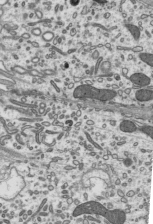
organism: Mouse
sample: Mouse epididymis efferent ductule cilia